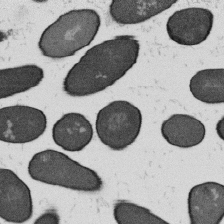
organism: B. subtilis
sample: Bacterial spore